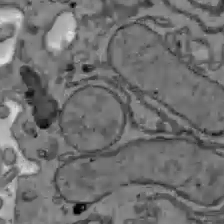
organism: C57BL Mouse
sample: Liver